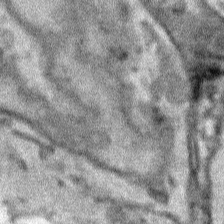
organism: Human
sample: Mitochondria in HCT116 cells